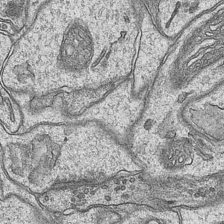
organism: Mouse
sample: CA1 Hippocampus